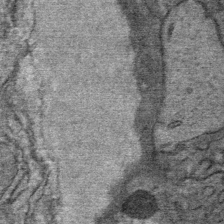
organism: Mouse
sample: Mouse Salivary gland